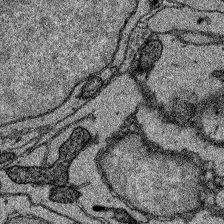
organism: Zebrafish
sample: Larval olfactory bulb